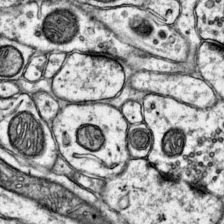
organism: Mouse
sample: Primary visual cortex